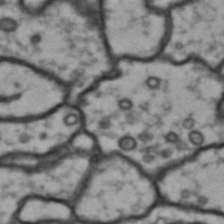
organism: Drosophila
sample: Brain